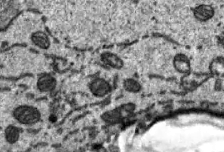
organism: Human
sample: HeLa cells